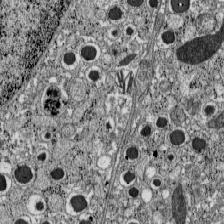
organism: C57BL Mouse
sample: Pancreatic islet